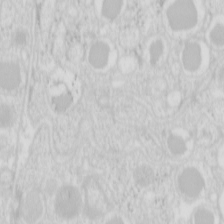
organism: Mouse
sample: Pancreas